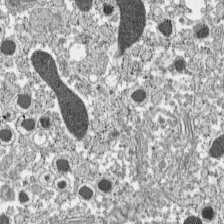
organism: C57BL Mouse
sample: Pancreatic islet